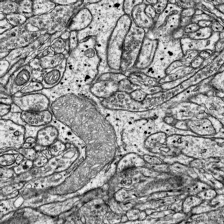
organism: Mouse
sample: Visual Cortex